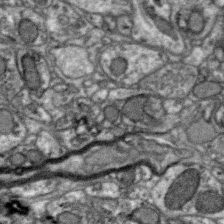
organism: Zebra finch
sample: Brain